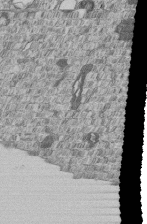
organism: Human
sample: MDA-MB-231 cells